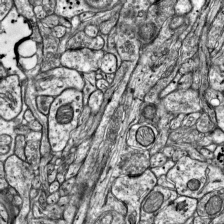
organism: Mouse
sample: Visual Cortex